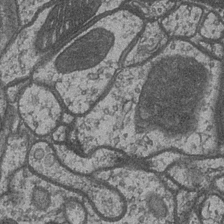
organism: Drosophila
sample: Optic medulla